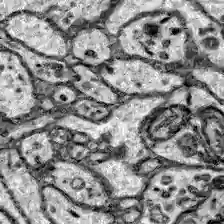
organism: Zebrafish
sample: Brain